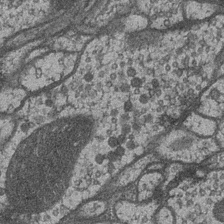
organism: Drosophila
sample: Optic medulla